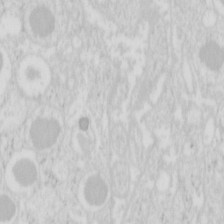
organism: Mouse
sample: Pancreas